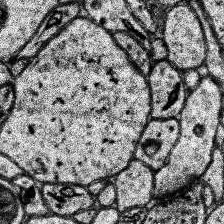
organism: Human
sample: Temporal Lobe